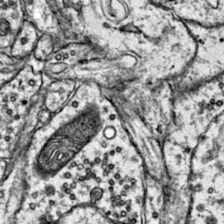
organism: Mouse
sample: Primary visual cortex